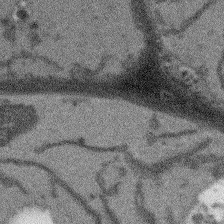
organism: Arabidopsis thaliana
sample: Root tip